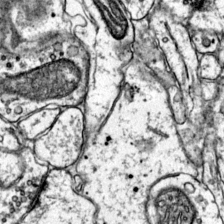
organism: Mouse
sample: Primary visual cortex